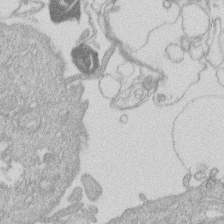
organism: Human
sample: Macrophage cells